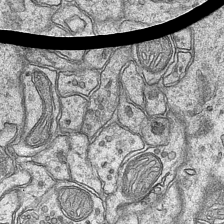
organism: Mouse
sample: CA1 Hippocampus